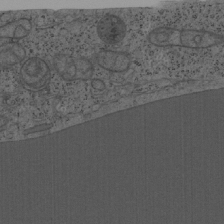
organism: Human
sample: HeLa cells